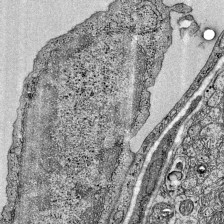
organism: Mouse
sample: Visual Cortex